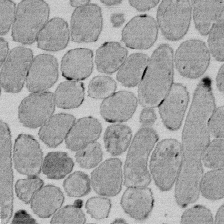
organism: E. coli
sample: Bacterial nucleoid